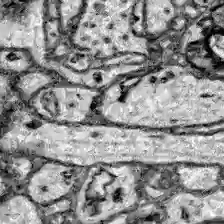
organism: Zebrafish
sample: Brain